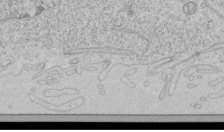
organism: Human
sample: Mitochondria in HCT116 cells